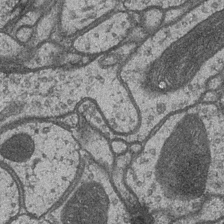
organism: Drosophila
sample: Optic medulla